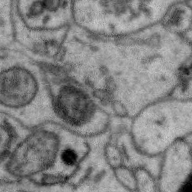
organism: Zebra finch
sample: Brain